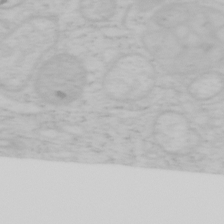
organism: Mouse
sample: OT-I killer T cells with ID8 ovarian cancer cells